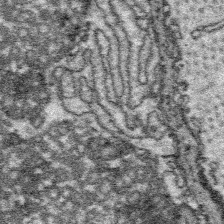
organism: Platynereis dumerilii